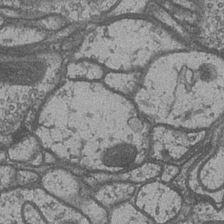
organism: Drosophila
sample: Optic medulla